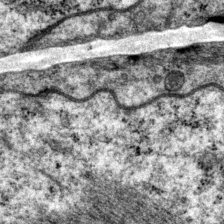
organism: P. pacificus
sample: Pharynx